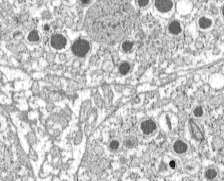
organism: C57BL Mouse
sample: Pancreatic islet